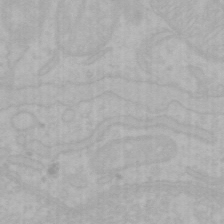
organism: Mouse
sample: Choroid plexus